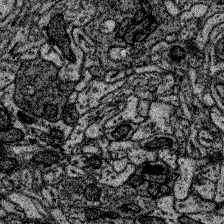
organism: Zebrafish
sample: Larval olfactory bulb